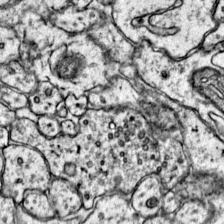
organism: Mouse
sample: Primary visual cortex